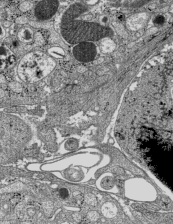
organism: C57BL Mouse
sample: Pancreatic islet